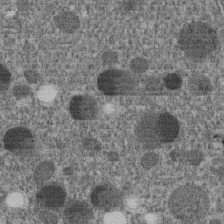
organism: C. elegans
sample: C. elegans embryo early stage